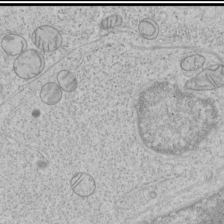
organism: Human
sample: Mitochondria in HCT116 cells